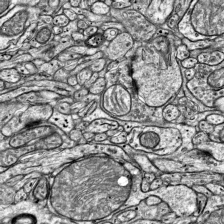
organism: Mouse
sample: Visual Cortex